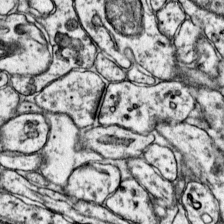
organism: Mouse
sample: Primary visual cortex